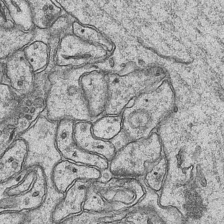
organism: Mouse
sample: CA1 Hippocampus